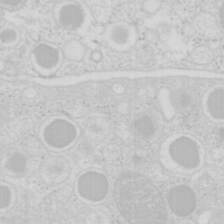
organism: Mouse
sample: Pancreas